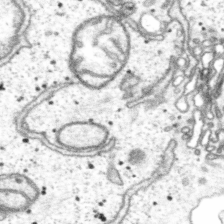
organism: Human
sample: HeLa cells